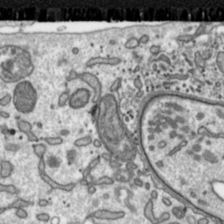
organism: Toxoplasma gondii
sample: Parasites in a vacuole inside a host cell